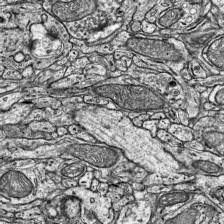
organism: Mouse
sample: Visual Cortex